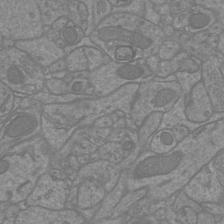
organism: Mouse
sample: Cortical neurons